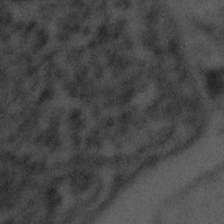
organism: Tuwongella immobilis